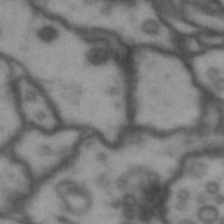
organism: Drosophila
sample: Brain